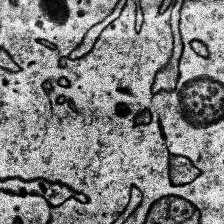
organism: Human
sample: Temporal Lobe